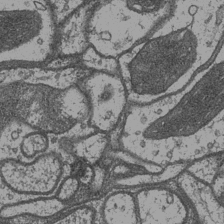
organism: Drosophila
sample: Optic medulla